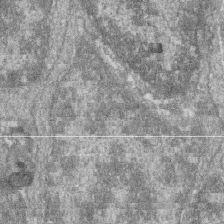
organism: Zebrafish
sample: Cilia; retinal pigment epithelium